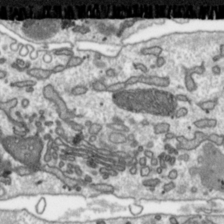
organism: Toxoplasma gondii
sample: Parasites in a vacuole inside a host cell